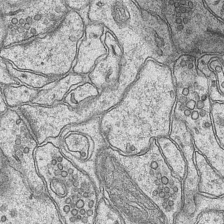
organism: Mouse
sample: CA1 Hippocampus